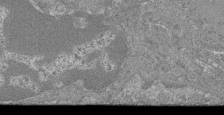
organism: Mouse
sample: Glomerulus